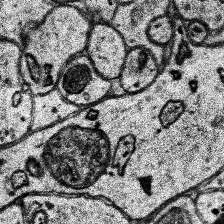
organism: Human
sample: Temporal Lobe